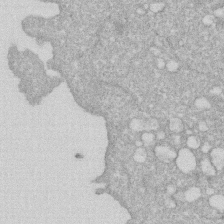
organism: Human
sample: HIV infected U937 cells